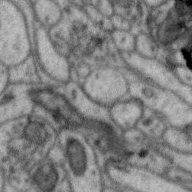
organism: Zebra finch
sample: Brain